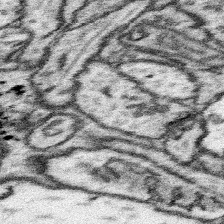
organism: Mouse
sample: Somatosensory cortex neuropil